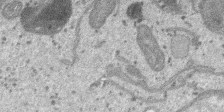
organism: Human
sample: Lung epithelial cells infected with SARS-CoV-2